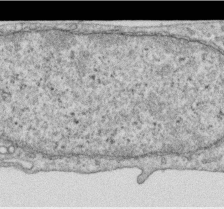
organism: Human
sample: Centriole in RPE cells